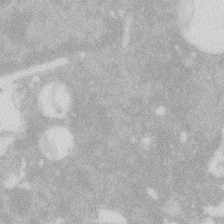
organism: Zebrafish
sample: Macrophage